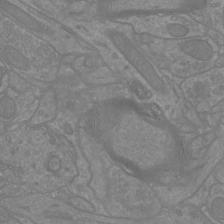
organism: Mouse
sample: Cortical neurons